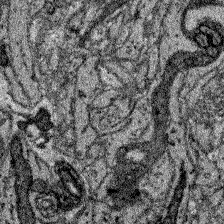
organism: Zebrafish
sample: Larval olfactory bulb